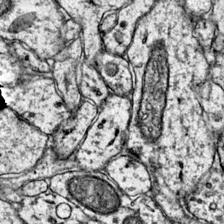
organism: Mouse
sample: Primary visual cortex